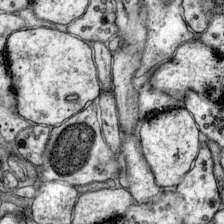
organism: Mouse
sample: Primary visual cortex